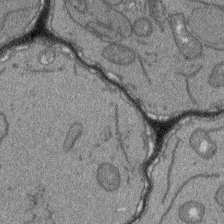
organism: Arabidopsis thaliana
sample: Root tip